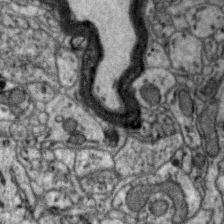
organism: Zebra finch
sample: Brain